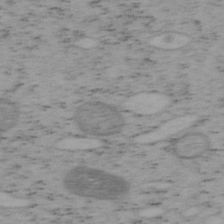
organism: Mouse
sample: OT-I killer T cells with ID8 ovarian cancer cells